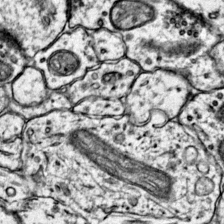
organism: Mouse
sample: Primary visual cortex